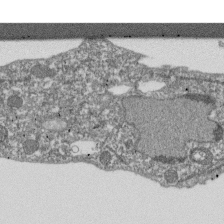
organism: Dictyostelium discoideum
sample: Dictyostelium multivesicular bodies